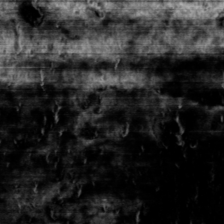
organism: Toxoplasma gondii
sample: Parasites in a vacuole inside a host cell